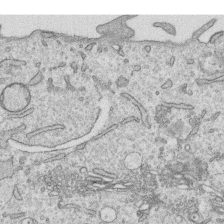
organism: Human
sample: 1205lu cells